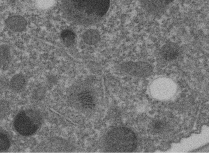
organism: C. elegans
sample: C. elegans embryo early stage